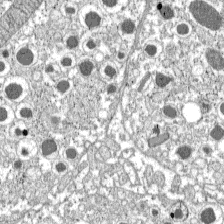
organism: C57BL Mouse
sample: Pancreatic islet